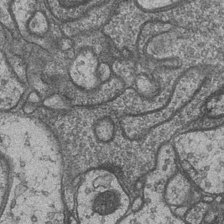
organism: Drosophila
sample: Optic medulla